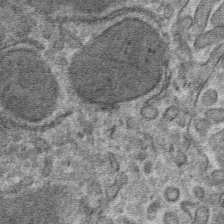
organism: Mouse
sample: Mouse hepatocytes